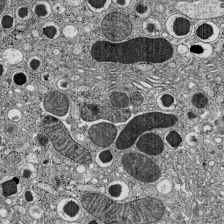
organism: C57BL Mouse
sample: Pancreatic islet